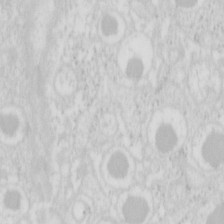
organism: Mouse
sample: Pancreas